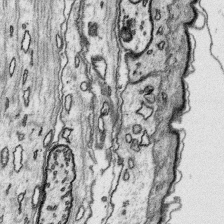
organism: Platynereis dumerilii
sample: Parapodia